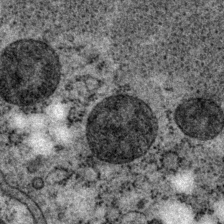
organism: P. pacificus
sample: Pharynx